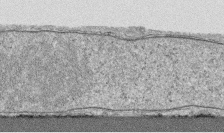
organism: Human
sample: CRL-1474